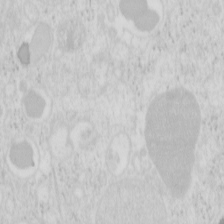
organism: Mouse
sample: Pancreas